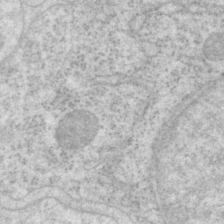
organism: P. pacificus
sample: Pharynx